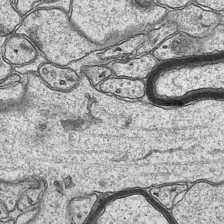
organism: Mouse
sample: CA1 Hippocampus